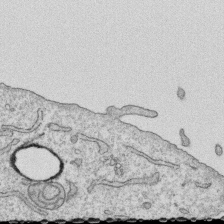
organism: Human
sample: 1205lu cells